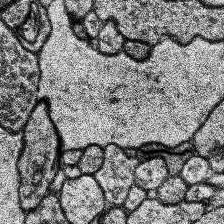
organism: Human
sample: Temporal Lobe